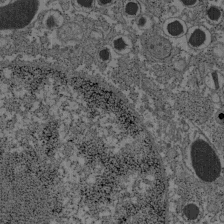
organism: C57BL Mouse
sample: Pancreatic islet